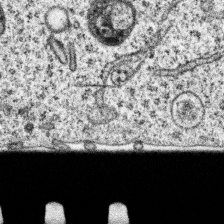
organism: Human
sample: HeLa cells